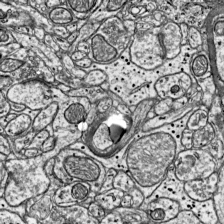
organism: Mouse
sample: Visual Cortex